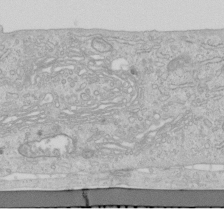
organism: Human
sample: Centriole in RPE cells